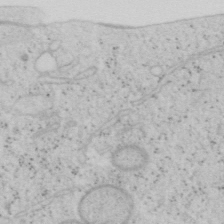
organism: Human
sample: HeLa cells